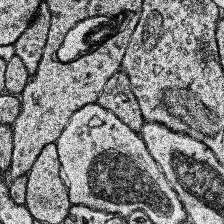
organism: Human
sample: Temporal Lobe